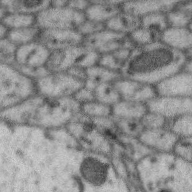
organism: Zebra finch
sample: Brain